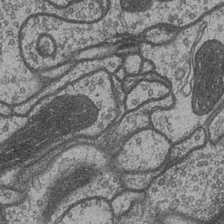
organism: Drosophila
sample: Optic medulla